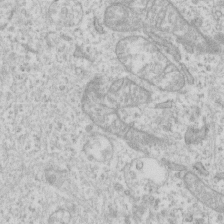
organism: Human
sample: Fibroblast cells